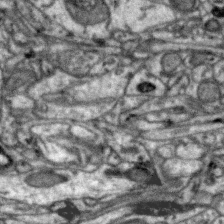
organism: Zebra finch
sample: Brain